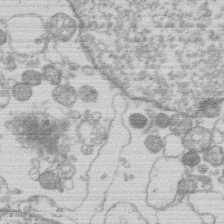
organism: Human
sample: Macrophage cells